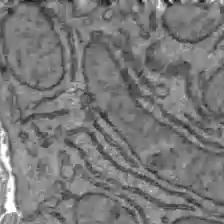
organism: C57BL Mouse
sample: Liver